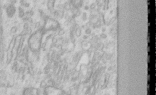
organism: Human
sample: Centriole in RPE cells